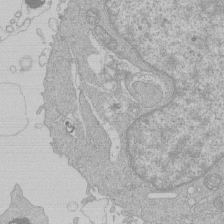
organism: Human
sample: Macrophage cells